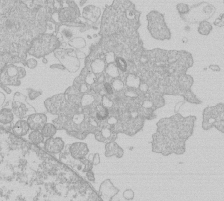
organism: Human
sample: Macrophage cells